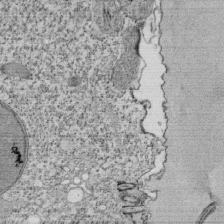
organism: Tetrahymena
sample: Cilia in tetrahymena